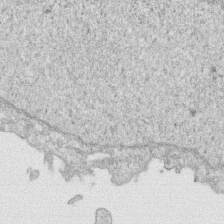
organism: Human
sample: HeLa cell HIV synapse